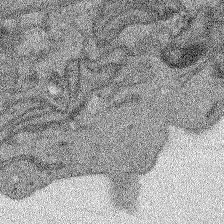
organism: Human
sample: HeLa cells